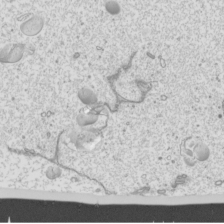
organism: Mouse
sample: Cilia; mouse epididymis